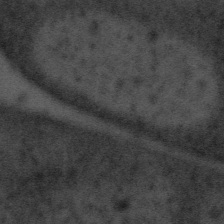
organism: Tuwongella immobilis